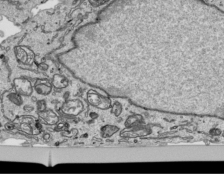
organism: Human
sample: Mitochondria in HCT116 cells